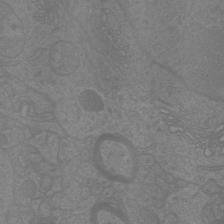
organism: Mouse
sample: Cortical neurons